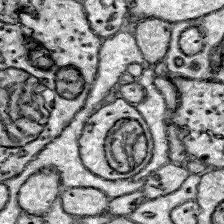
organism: Zebrafish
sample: Brain